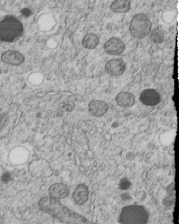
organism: C. elegans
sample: C. elegans embryo early stage